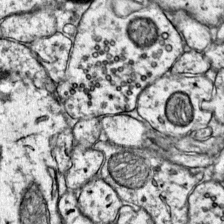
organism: Mouse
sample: Primary visual cortex